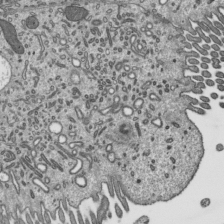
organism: Mouse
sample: Mouse epididymis efferent ductule cilia